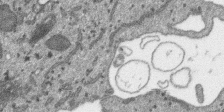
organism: Human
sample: Lung epithelial cells infected with SARS-CoV-2